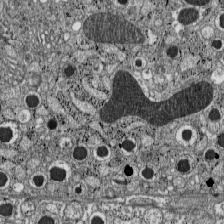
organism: C57BL Mouse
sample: Pancreatic islet